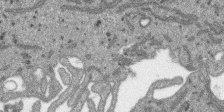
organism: Human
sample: Lung epithelial cells infected with SARS-CoV-2